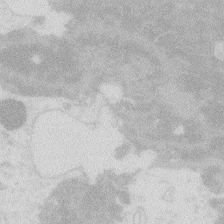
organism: Zebrafish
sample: Macrophage